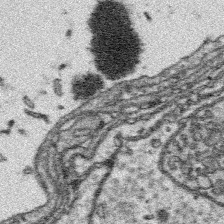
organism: Platynereis dumerilii